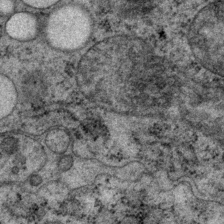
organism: P. pacificus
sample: Pharynx